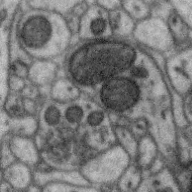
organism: Zebra finch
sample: Brain